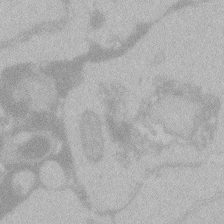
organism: Zebrafish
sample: Macrophage infected with Toxoplasma gondii